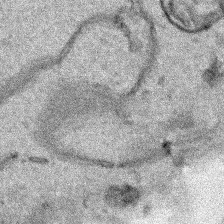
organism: Human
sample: Mitochondria in HCT116 cells